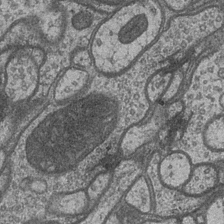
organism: Drosophila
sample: Optic medulla